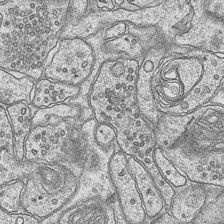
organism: Mouse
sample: CA1 Hippocampus